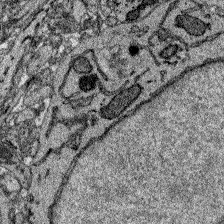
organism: Zebrafish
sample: Larval olfactory bulb